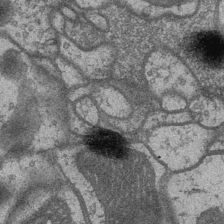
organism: Drosophila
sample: Optic medulla